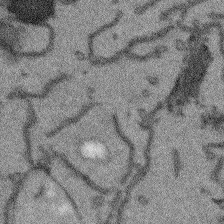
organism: Arabidopsis thaliana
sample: Root tip